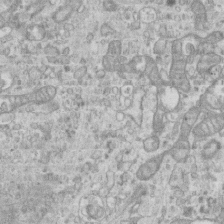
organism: Mouse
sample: Centriole in ependymal cells